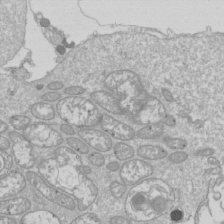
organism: Drosophila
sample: Cell division; meiosis; drosophila spermatocytes